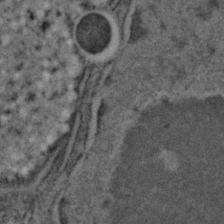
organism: C. elegans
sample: C. elegans embryo